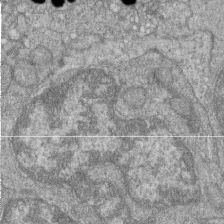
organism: Zebrafish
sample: Cilia; retinal pigment epithelium